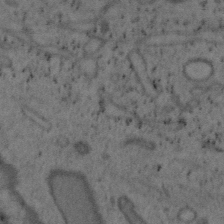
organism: Human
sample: HeLa cells